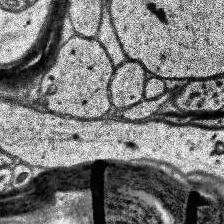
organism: Human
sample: Temporal Lobe